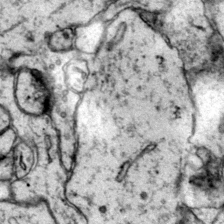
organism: Mouse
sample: Primary visual cortex